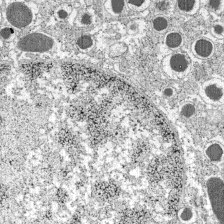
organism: C57BL Mouse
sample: Pancreatic islet